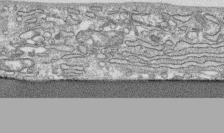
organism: Human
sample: CRL-1474